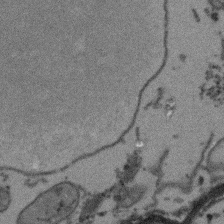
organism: Arabidopsis thaliana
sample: Root tip